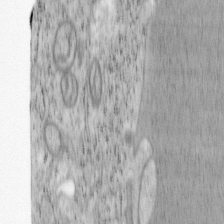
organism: Human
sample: HeLa cells